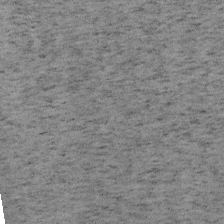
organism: Mouse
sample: OT-I killer T cells with ID8 ovarian cancer cells